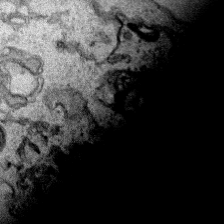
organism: Human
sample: Mitochondria in HCT116 cells